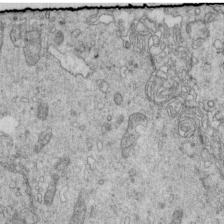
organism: Mouse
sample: Multiciliated cells